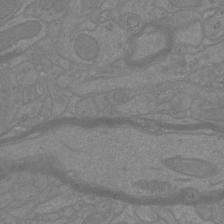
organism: Mouse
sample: Cortical neurons